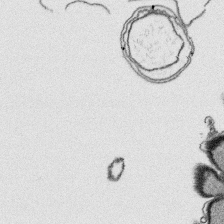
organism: Platynereis dumerilii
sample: Parapodia